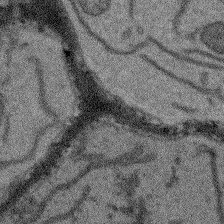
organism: Arabidopsis thaliana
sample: Root tip